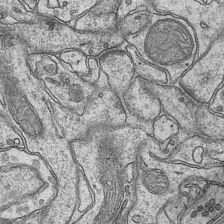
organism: Mouse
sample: CA1 Hippocampus